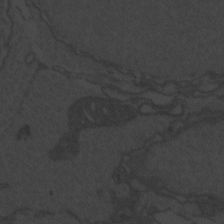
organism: Zebrafish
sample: Macrophage infected with Toxoplasma gondii